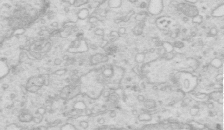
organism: Mouse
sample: Multiciliated cells